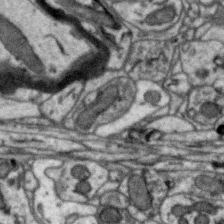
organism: Zebra finch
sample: Brain